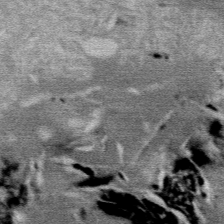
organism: Mouse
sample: Mouse Salivary gland